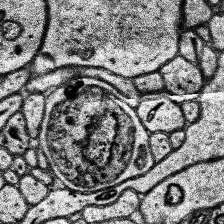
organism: Human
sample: Temporal Lobe